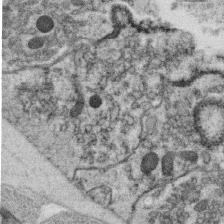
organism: C. elegans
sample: C. elegans oocyte; sperm cells